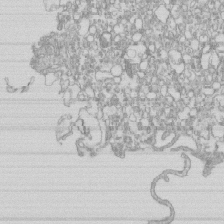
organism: Mouse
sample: Macrophages